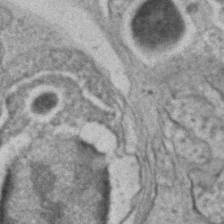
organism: C. elegans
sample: C. elegans embryo